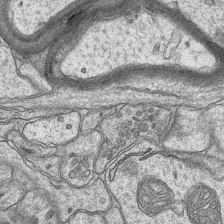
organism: Mouse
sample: CA1 Hippocampus